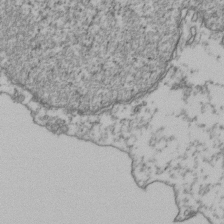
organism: Human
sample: Activated Jurkat CD4+ T cells